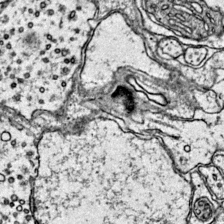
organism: Mouse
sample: Primary visual cortex